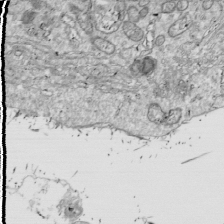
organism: Drosophila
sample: Cell division; meiosis; drosophila spermatocytes